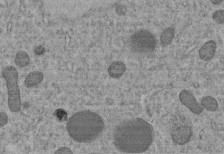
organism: C. elegans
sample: C. elegans embryo early stage